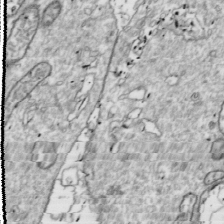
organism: Drosophila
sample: Cell division; meiosis; drosophila spermatocytes